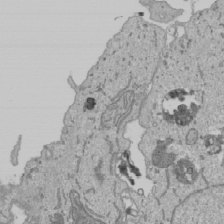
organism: Human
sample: Mitochondria in U2OS cells